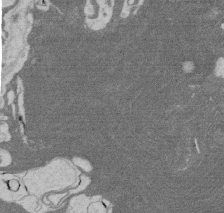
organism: Rat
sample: Salivary granule